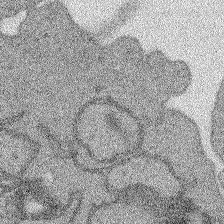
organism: Human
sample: HeLa cells